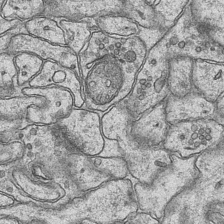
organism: Mouse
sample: CA1 Hippocampus